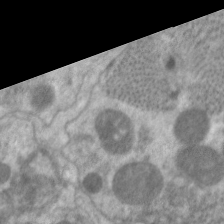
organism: C. elegans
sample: Pharynx